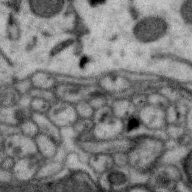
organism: Zebra finch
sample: Brain